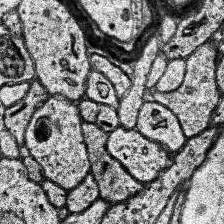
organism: Human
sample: Temporal Lobe